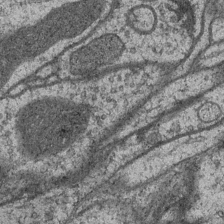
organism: Drosophila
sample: Optic medulla